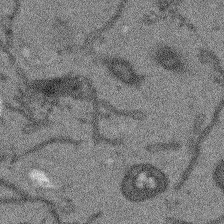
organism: Arabidopsis thaliana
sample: Root tip